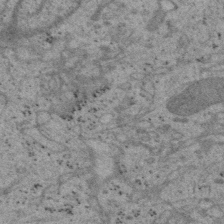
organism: Human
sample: HeLa cells